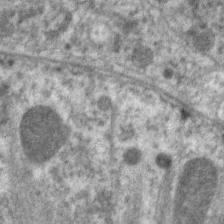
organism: C. elegans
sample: Pharynx